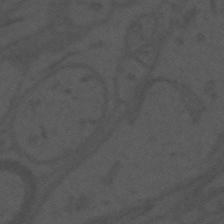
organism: Mouse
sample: Suprachiasmatic nucleus